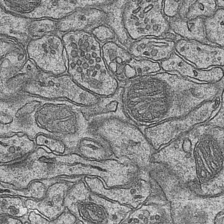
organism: Mouse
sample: CA1 Hippocampus